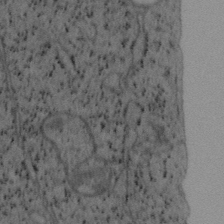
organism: Human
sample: HeLa cells